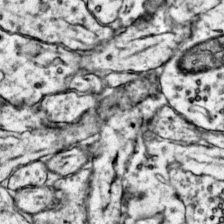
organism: Mouse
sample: Primary visual cortex